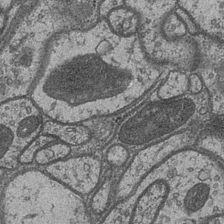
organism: Drosophila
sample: Optic medulla